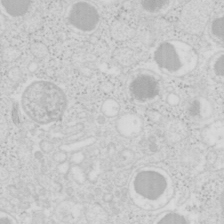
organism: Mouse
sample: Pancreas